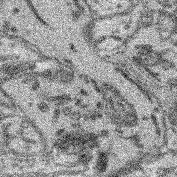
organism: Mouse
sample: Retina